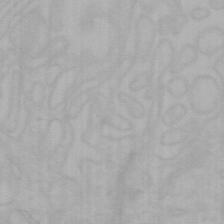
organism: Mouse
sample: Choroid plexus